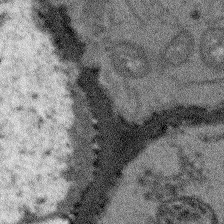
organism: Arabidopsis thaliana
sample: Root tip